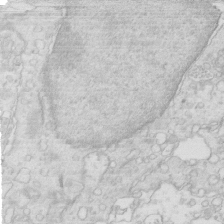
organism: Mouse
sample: Multiciliated cells